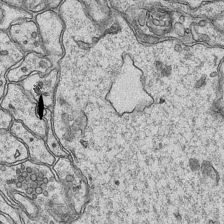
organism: Mouse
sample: CA1 Hippocampus